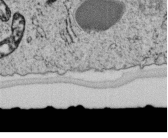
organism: C. elegans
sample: C. elegans embryo early stage